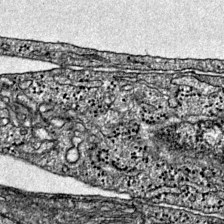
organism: Mouse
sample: Primary visual cortex